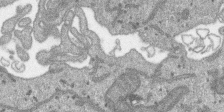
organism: Human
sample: Lung epithelial cells infected with SARS-CoV-2